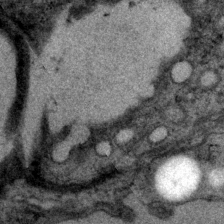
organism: P. pacificus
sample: Pharynx